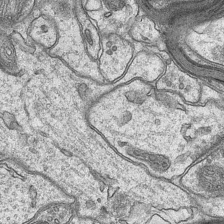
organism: Mouse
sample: CA1 Hippocampus